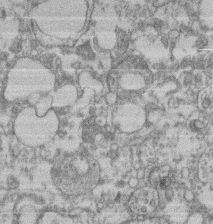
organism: Mouse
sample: T cell stromal cell synapse